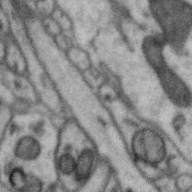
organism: Zebra finch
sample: Brain